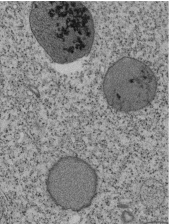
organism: Tetrahymena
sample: Cilia in tetrahymena